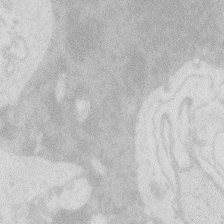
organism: Zebrafish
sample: Macrophage